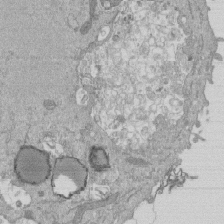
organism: Mouse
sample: ED-1 cell nuclei; centrioles